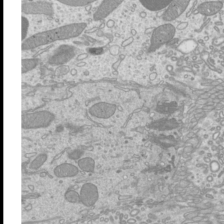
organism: Mouse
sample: Cilia; mouse epididymis